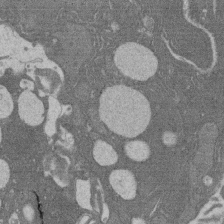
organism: Rat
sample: Salivary granule